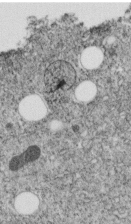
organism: C. elegans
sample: C. elegans embryo early stage